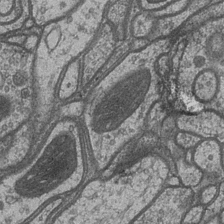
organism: Drosophila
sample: Optic medulla